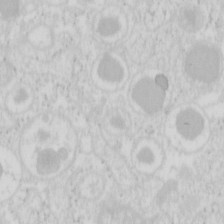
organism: Mouse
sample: Pancreas